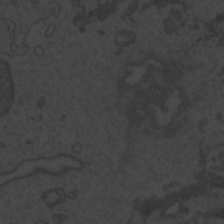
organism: Zebrafish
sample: Macrophage infected with Toxoplasma gondii